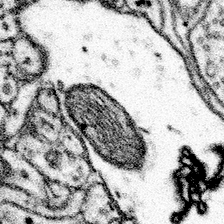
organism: Mouse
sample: Somatosensory cortex neuropil